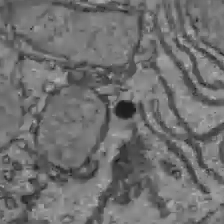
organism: C57BL Mouse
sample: Liver